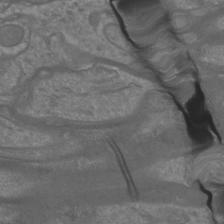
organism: Mouse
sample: Cortical neurons